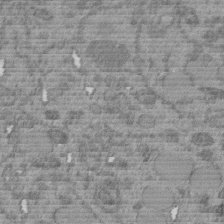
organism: C. elegans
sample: C. elegans embryo early stage